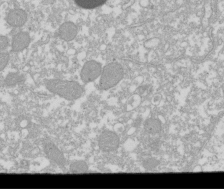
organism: Xenopus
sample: Cilia; centrioles in frog embryo cells